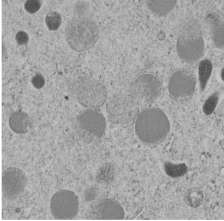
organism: C. elegans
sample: C. elegans embryo early stage